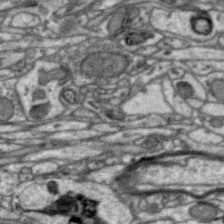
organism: Zebra finch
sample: Brain